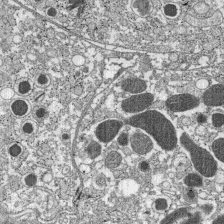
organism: C57BL Mouse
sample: Pancreatic islet